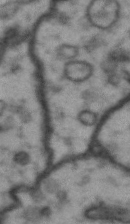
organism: Drosophila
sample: Brain